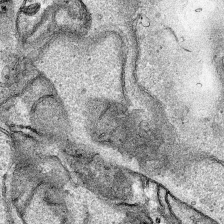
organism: Human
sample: Mitochondria in HCT116 cells